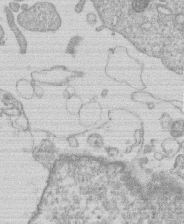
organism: Human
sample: Macrophage cells